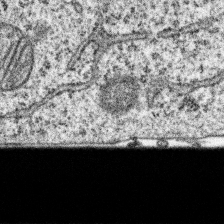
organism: Human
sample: HeLa cells